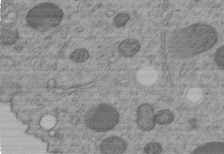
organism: C. elegans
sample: C. elegans embryo early stage